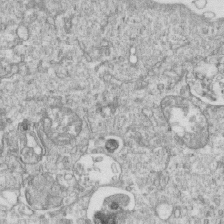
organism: Mouse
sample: Activated OT-1 CD8+ T cells